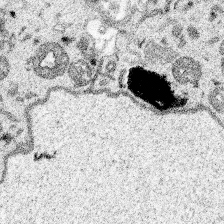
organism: Spongilla lacustris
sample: Multiple